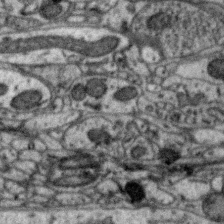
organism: Zebra finch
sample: Brain